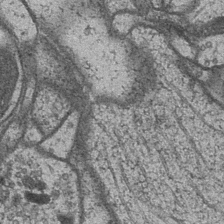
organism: Drosophila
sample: Optic medulla